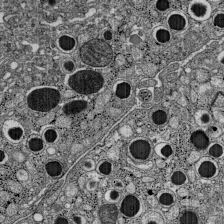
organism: C57BL Mouse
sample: Pancreatic islet